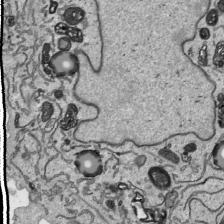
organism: Human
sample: Mitochondria in HCT116 cells